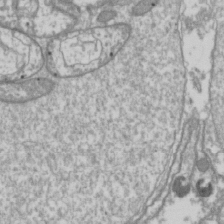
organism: Drosophila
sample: Cell division; meiosis; drosophila spermatocytes